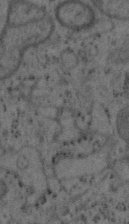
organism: Human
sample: HeLa cells